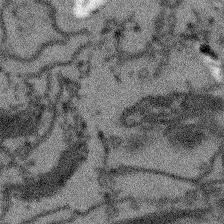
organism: Arabidopsis thaliana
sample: Root tip